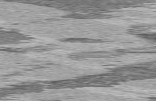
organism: C57BL Mouse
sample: Heart